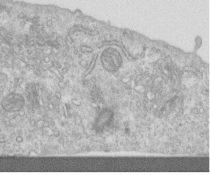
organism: Human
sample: Centriole in RPE cells